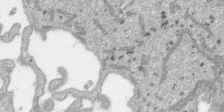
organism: Human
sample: Lung epithelial cells infected with SARS-CoV-2